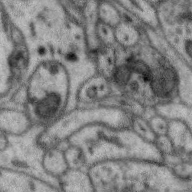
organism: Zebra finch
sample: Brain